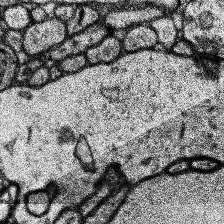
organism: Human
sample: Temporal Lobe